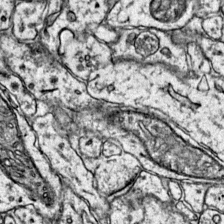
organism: Mouse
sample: Primary visual cortex